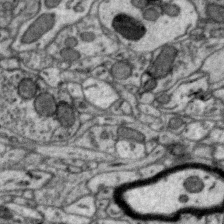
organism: Zebra finch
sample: Brain